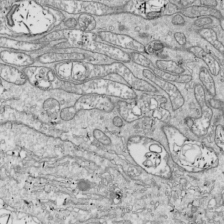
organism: Drosophila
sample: Cell division; meiosis; drosophila spermatocytes